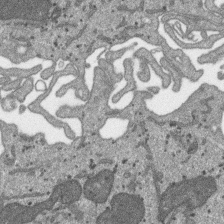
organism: Human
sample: Lung epithelial cells infected with SARS-CoV-2